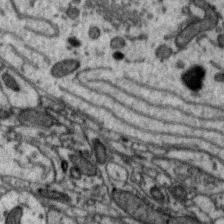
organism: Zebra finch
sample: Brain